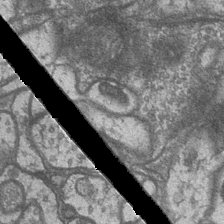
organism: Drosophila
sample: Optic medulla